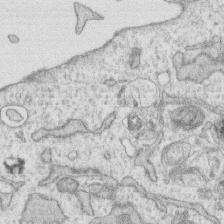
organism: Human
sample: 1205lu cells